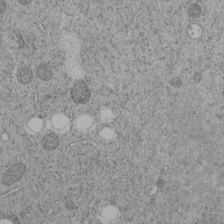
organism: C. elegans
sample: C. elegans embryo early stage